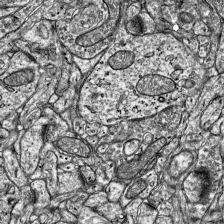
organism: Mouse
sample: Visual Cortex